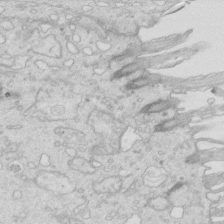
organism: Mouse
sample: Multiciliated cells